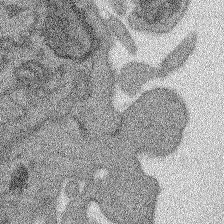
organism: Human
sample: HeLa cells